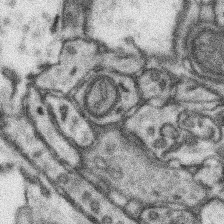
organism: Mouse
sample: Somatosensory cortex neuropil